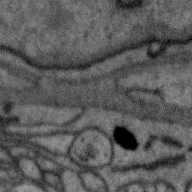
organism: Zebra finch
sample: Brain